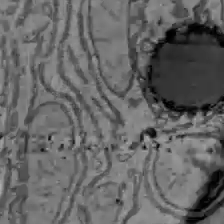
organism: C57BL Mouse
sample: Liver